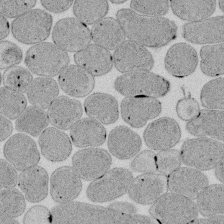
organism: E. coli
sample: Bacterial nucleoid